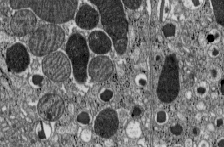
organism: C57BL Mouse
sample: Pancreatic islet